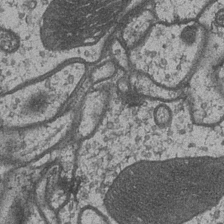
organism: Drosophila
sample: Optic medulla